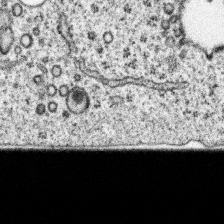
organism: Human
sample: HeLa cells